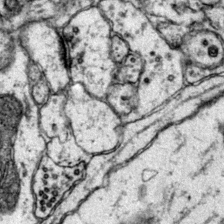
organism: Mouse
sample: Primary visual cortex